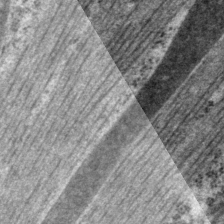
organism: P. pacificus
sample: Pharynx